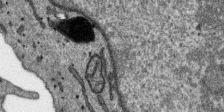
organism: Human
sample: Lung epithelial cells, uninfected (mock) control